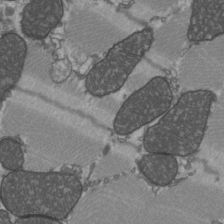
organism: C57BL Mouse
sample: Heart